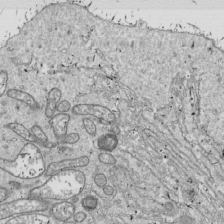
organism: Drosophila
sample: Cell division; meiosis; drosophila spermatocytes